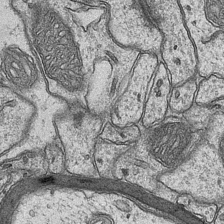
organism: Mouse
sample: CA1 Hippocampus